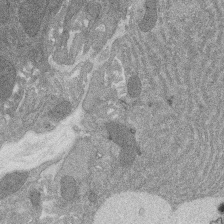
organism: Rat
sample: Salivary granule